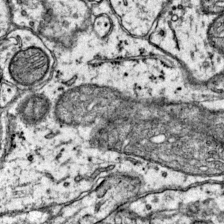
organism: Mouse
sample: Primary visual cortex